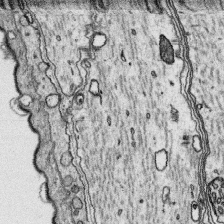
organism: Platynereis dumerilii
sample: Parapodia